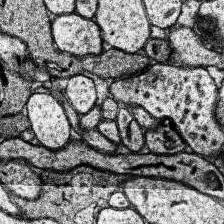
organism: Human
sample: Temporal Lobe